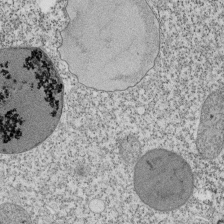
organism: Tetrahymena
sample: Cilia in tetrahymena